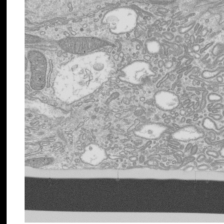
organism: Mouse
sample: Cilia; mouse epididymis